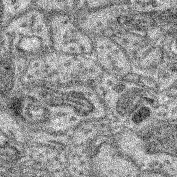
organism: Mouse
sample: Retina